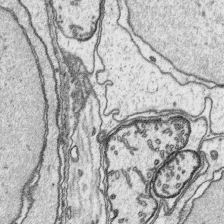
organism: Platynereis dumerilii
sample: Parapodia